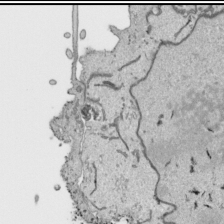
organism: Human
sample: Mitochondria in HCT116 cells